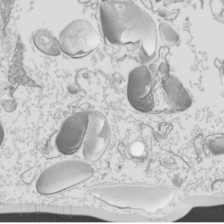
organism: Mouse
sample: Cilia; mouse epididymis